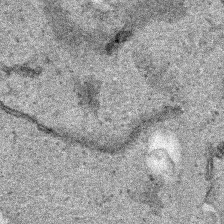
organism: Human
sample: Mitochondria in HCT116 cells